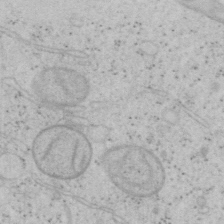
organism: Human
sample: HeLa cells